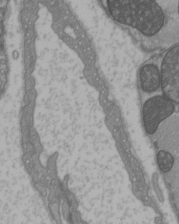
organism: C57BL Mouse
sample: Heart